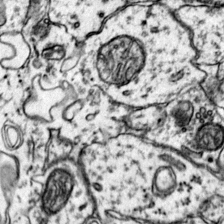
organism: Mouse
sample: Primary visual cortex